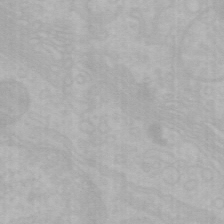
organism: Mouse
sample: Choroid plexus